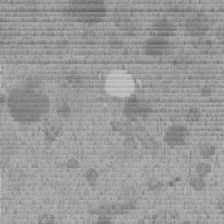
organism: C. elegans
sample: C. elegans embryo early stage